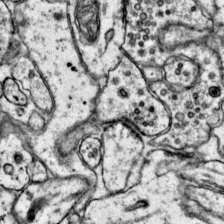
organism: Mouse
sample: Primary visual cortex